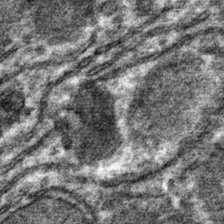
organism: Mouse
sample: Mouse hepatocytes